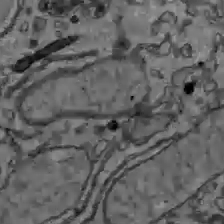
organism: C57BL Mouse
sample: Liver